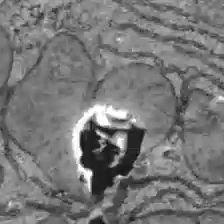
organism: C57BL Mouse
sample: Liver